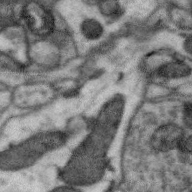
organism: Zebra finch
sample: Brain